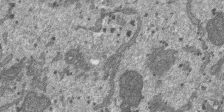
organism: Human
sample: Lung epithelial cells infected with SARS-CoV-2